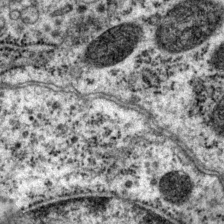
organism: P. pacificus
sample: Pharynx